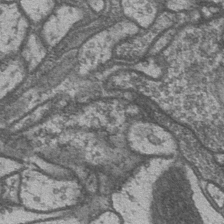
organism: Drosophila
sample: Optic medulla